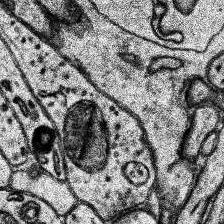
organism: Human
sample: Temporal Lobe